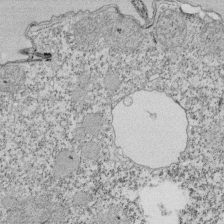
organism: Tetrahymena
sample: Cilia in tetrahymena